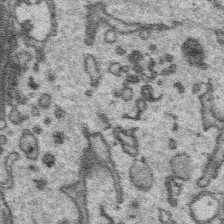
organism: Platynereis dumerilii